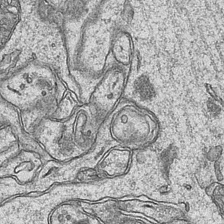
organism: Mouse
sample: CA1 Hippocampus